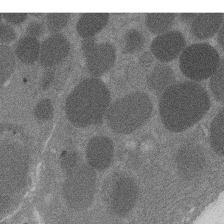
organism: Rat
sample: Salivary granule